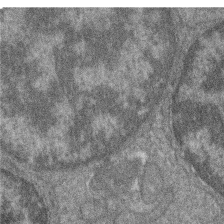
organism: Zebrafish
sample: Cilia; retinal pigment epithelium